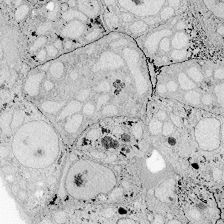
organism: Zebrafish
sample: Whole-Brain